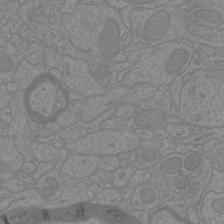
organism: Mouse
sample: Cortical neurons